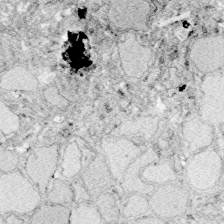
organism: Zebrafish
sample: Whole-Brain